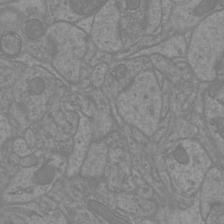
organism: Mouse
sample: Cortical neurons